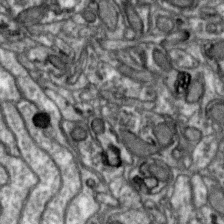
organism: Zebra finch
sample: Brain